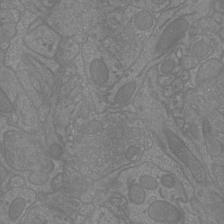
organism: Mouse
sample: Cortical neurons